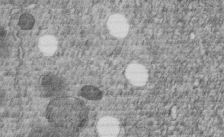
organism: C. elegans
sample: C. elegans embryo early stage